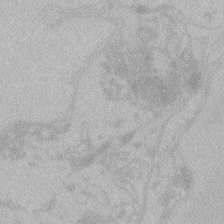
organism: Zebrafish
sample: Macrophage infected with Toxoplasma gondii